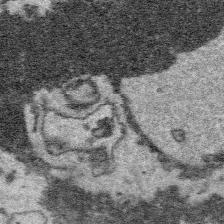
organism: Platynereis dumerilii